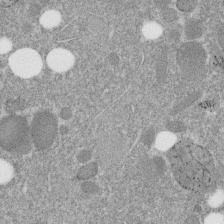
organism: C. elegans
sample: C. elegans embryo early stage